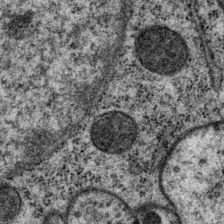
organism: P. pacificus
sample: Pharynx